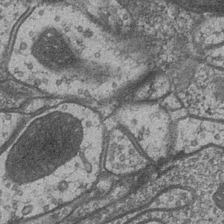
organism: Drosophila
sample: Optic medulla